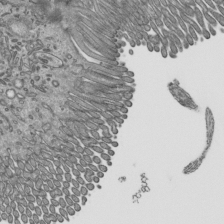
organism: Mouse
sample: Mouse epididymis efferent ductule cilia